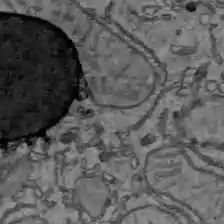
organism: C57BL Mouse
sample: Liver